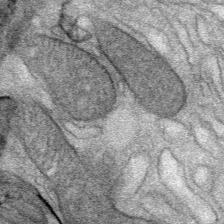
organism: Mouse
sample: Mouse Salivary gland